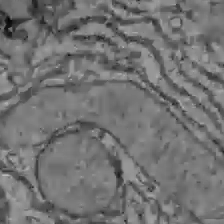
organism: C57BL Mouse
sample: Liver